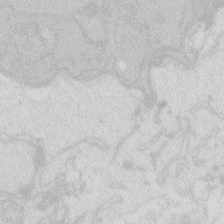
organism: Zebrafish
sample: Macrophage